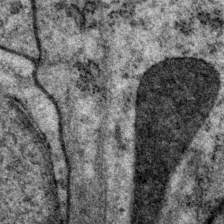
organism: P. pacificus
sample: Pharynx